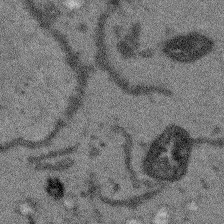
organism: Arabidopsis thaliana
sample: Root tip